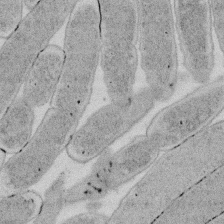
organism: E. coli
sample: Bacterial nucleoid